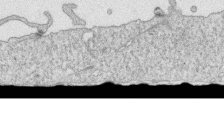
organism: Human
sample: HeLa cell HIV synapse